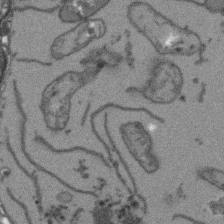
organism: Arabidopsis thaliana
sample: Root tip